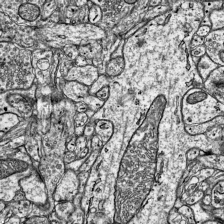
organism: Mouse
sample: Visual Cortex